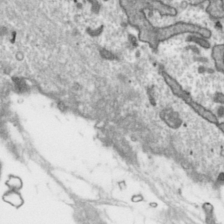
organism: Toxoplasma gondii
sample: Parasites in a vacuole inside a host cell